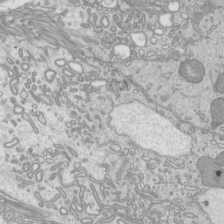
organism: Mouse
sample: Cilia; mouse epididymis